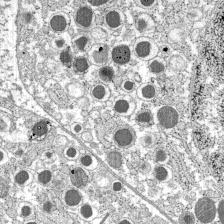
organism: C57BL Mouse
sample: Pancreatic islet